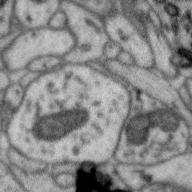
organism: Zebra finch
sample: Brain